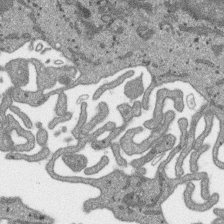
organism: Human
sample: Lung epithelial cells infected with SARS-CoV-2